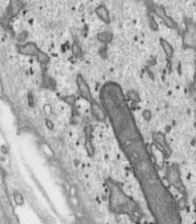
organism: Toxoplasma gondii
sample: Parasites in a vacuole inside a host cell